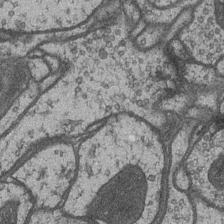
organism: Drosophila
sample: Optic medulla